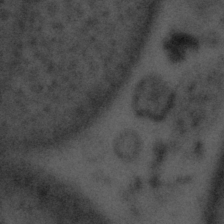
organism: Tuwongella immobilis